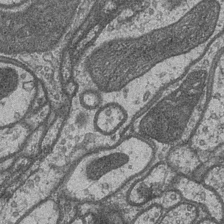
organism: Drosophila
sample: Optic medulla